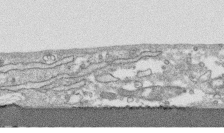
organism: Human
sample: CRL-1474